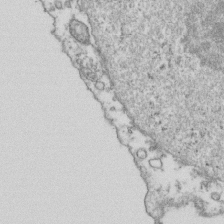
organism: Human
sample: Activated Jurkat CD4+ T cells